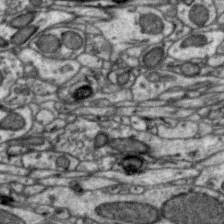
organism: Zebra finch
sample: Brain